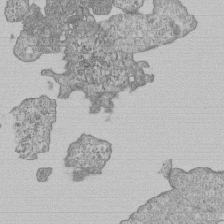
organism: Human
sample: MDA-MB-231 cells